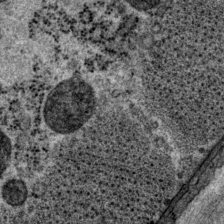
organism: P. pacificus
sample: Pharynx